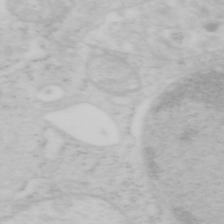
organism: Mouse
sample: OT-I killer T cells with ID8 ovarian cancer cells